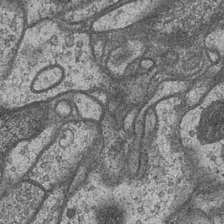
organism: Drosophila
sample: Optic medulla